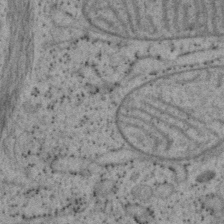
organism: Human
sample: HeLa cells